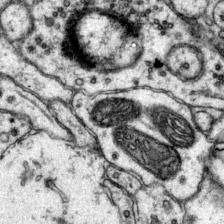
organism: Mouse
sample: Primary visual cortex